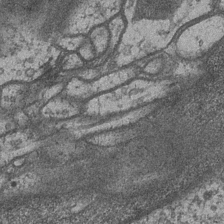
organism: Drosophila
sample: Optic medulla